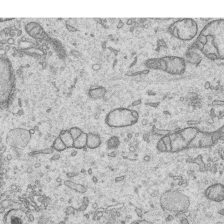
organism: Human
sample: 1205lu cells